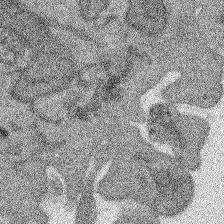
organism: Human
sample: HeLa cells